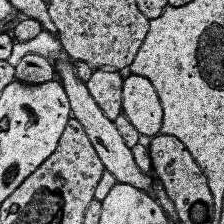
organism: Human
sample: Temporal Lobe